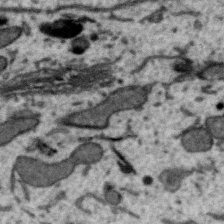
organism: Zebra finch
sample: Brain